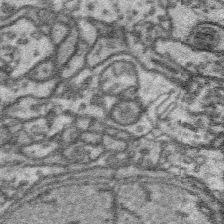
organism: Platynereis dumerilii